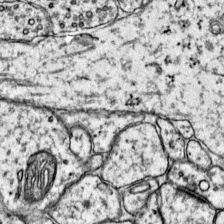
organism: Mouse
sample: Primary visual cortex